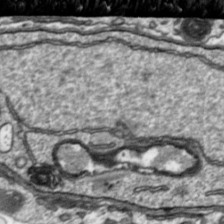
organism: Toxoplasma gondii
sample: Parasites in a vacuole inside a host cell